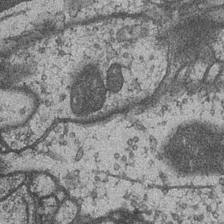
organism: Drosophila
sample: Optic medulla